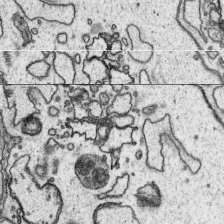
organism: Platynereis dumerilii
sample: Parapodia